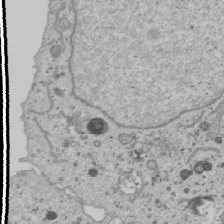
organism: Human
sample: Mitochondria in U2OS cells